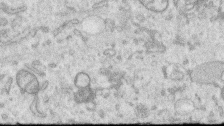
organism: Human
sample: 1205lu cells